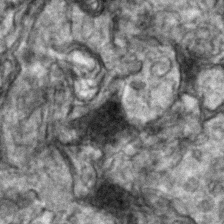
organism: Zebrafish